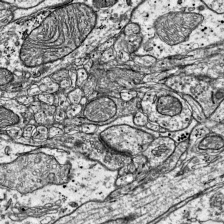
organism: Mouse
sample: Visual Cortex